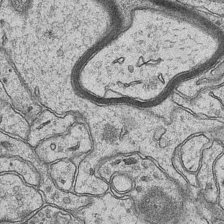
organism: Mouse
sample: CA1 Hippocampus